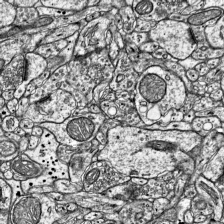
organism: Mouse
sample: Visual Cortex